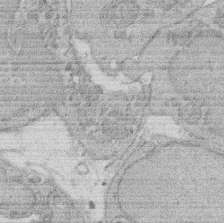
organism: Rat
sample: Salivary granule